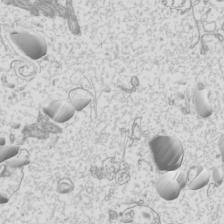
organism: Mouse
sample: Cilia; mouse epididymis